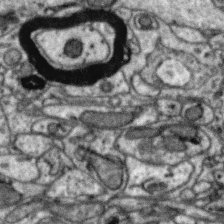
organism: Zebra finch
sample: Brain